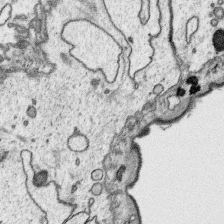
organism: Platynereis dumerilii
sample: Parapodia